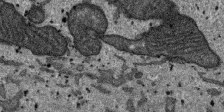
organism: Human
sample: Lung epithelial cells, uninfected (mock) control